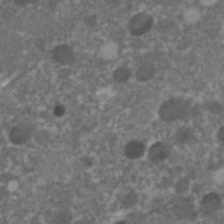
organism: C. elegans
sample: C. elegans embryo